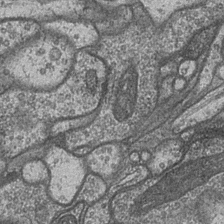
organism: Drosophila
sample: Optic medulla